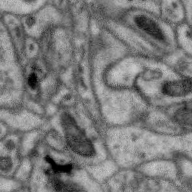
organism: Zebra finch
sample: Brain